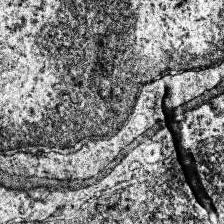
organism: Human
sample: Temporal Lobe